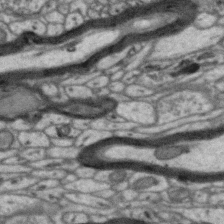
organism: Zebra finch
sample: Brain